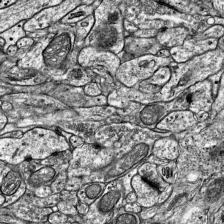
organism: Mouse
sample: Visual Cortex